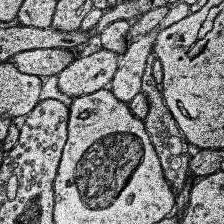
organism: Human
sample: Temporal Lobe